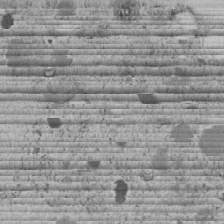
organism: C. elegans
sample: C. elegans embryo early stage